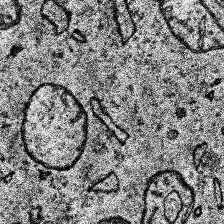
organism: Human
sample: Temporal Lobe